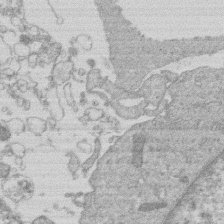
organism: Human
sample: Macrophage cells